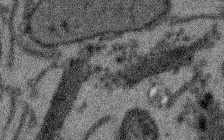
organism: Arabidopsis thaliana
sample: Root tip